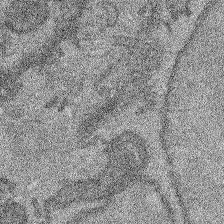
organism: Human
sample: HeLa cells